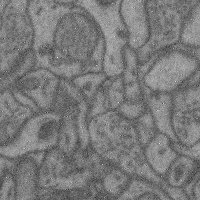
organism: Mouse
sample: Cerebral cortex